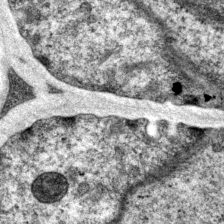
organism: P. pacificus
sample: Pharynx